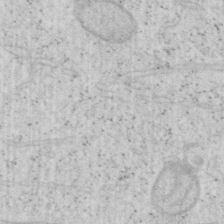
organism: Human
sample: HeLa cells